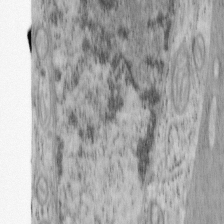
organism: Human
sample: HeLa cells